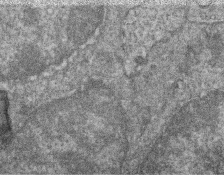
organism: Zebrafish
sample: Cilia; retinal pigment epithelium